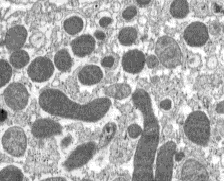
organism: C57BL Mouse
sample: Pancreatic islet